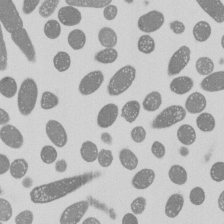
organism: E. coli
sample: Bacterial nucleoid